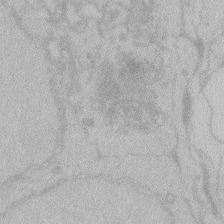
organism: Zebrafish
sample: Macrophage infected with Toxoplasma gondii